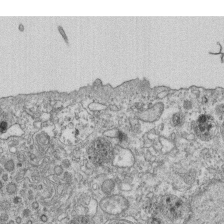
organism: Human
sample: HeLa cell HIV synapse